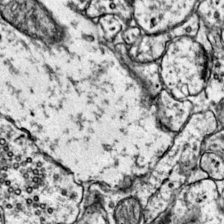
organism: Mouse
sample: Primary visual cortex